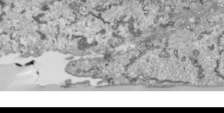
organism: Human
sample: Mitochondria in HCT116 cells